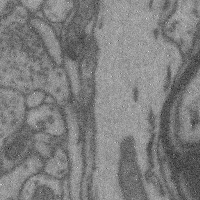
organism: Mouse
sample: Cerebral cortex